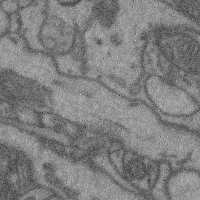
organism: Mouse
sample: Cerebral cortex